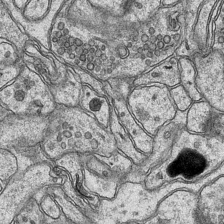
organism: Mouse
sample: CA1 Hippocampus